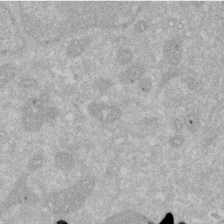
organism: Human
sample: HIV infected U937 cells